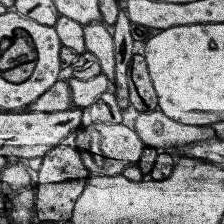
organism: Human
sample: Temporal Lobe